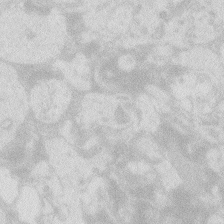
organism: Zebrafish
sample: Macrophage